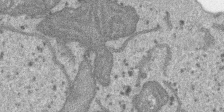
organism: Human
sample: Lung epithelial cells infected with SARS-CoV-2